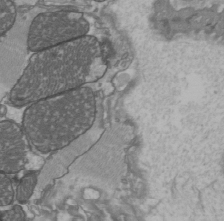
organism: C57BL Mouse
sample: Heart